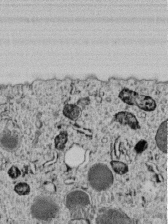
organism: C. elegans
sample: C. elegans embryo early stage